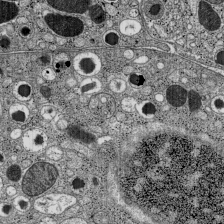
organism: C57BL Mouse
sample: Pancreatic islet